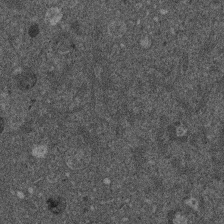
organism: Mouse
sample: Dividing mouse embryo 1 cell stage